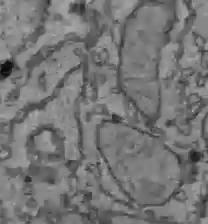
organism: C57BL Mouse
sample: Liver